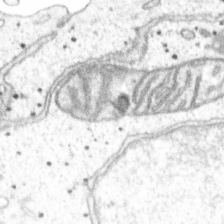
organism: Human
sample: HeLa cells